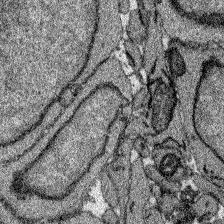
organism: Zebrafish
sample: Larval olfactory bulb